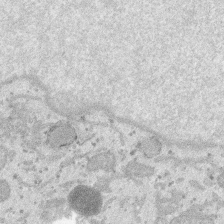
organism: Human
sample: Lung epithelial cells infected with SARS-CoV-2